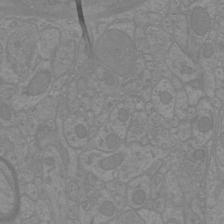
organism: Mouse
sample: Cortical neurons